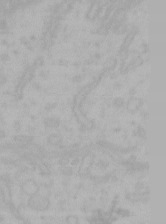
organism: Mouse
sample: Choroid plexus